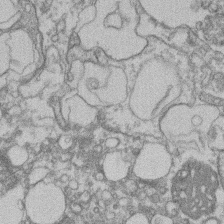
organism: Mouse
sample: T cell stromal cell synapse